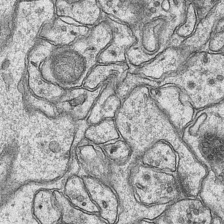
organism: Mouse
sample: CA1 Hippocampus